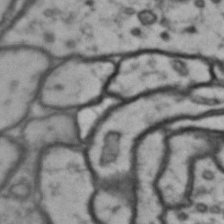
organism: Drosophila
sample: Brain